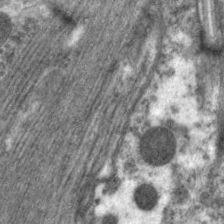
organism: C. elegans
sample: Pharynx